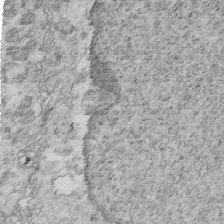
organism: Mouse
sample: Multiciliated cells